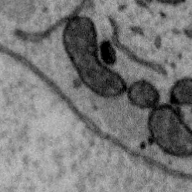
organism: Zebra finch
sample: Brain